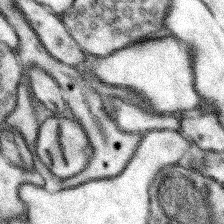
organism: Mouse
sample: Somatosensory cortex neuropil